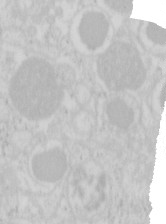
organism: Mouse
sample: Pancreas